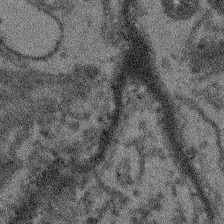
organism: Arabidopsis thaliana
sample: Root tip